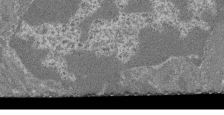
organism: Mouse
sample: Glomerulus